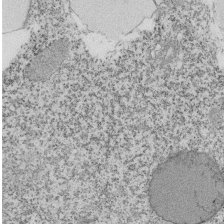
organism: Tetrahymena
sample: Cilia in tetrahymena